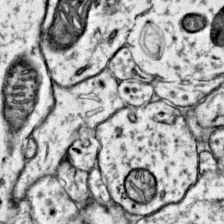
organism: Mouse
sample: Primary visual cortex